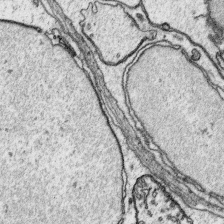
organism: Platynereis dumerilii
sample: Parapodia